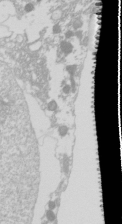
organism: Drosophila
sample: Cell division; meiosis; drosophila spermatocytes